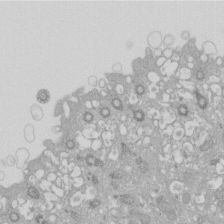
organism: Xenopus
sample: Cilia; centrioles in frog embryo cells